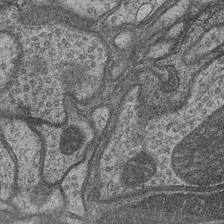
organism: Drosophila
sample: Optic medulla